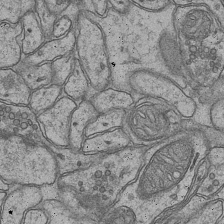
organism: Mouse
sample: CA1 Hippocampus